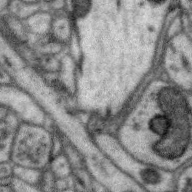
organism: Zebra finch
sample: Brain